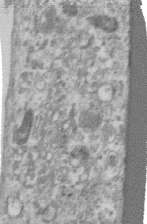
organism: Human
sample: Centriole in RPE cells